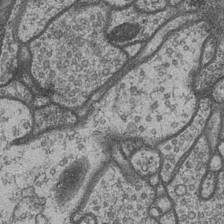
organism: Drosophila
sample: Optic medulla